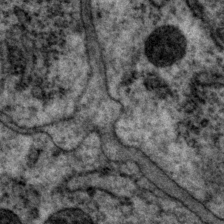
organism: P. pacificus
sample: Pharynx